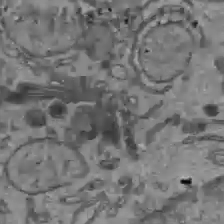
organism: C57BL Mouse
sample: Liver